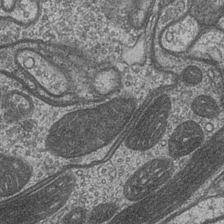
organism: Drosophila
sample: Optic medulla